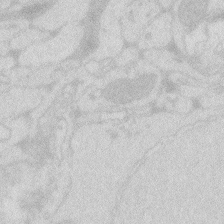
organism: Zebrafish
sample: Macrophage